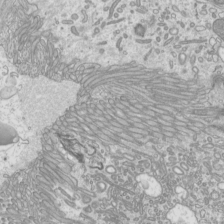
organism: Mouse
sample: Cilia; mouse epididymis